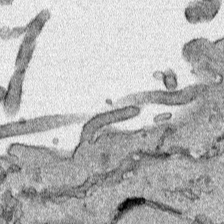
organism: Human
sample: Mitochondria in HCT116 cells